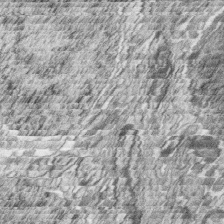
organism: Zebrafish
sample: synaptic ribbons in rod cells and cone cells